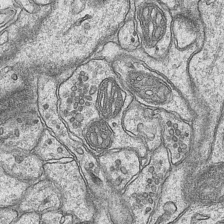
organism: Mouse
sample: CA1 Hippocampus